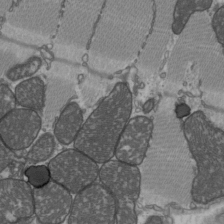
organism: C57BL Mouse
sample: Heart